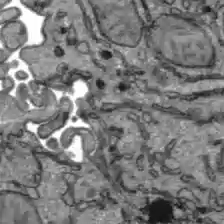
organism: C57BL Mouse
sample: Liver